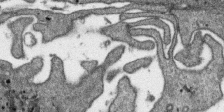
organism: Human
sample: Lung epithelial cells, uninfected (mock) control